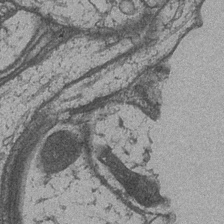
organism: Drosophila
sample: Optic medulla